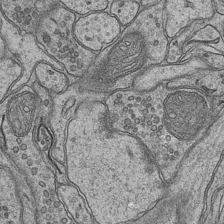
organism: Mouse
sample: CA1 Hippocampus